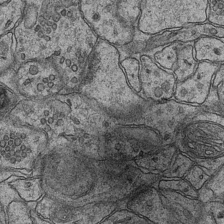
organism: Mouse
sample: CA1 Hippocampus